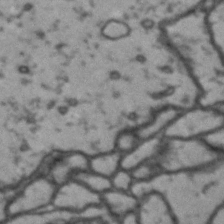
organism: Drosophila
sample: Brain